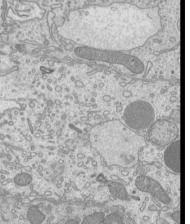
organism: Mouse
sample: Cilia; mouse epididymis